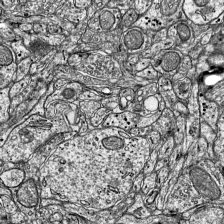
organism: Mouse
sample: Visual Cortex